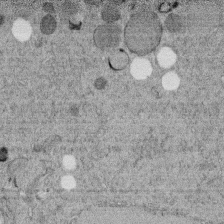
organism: C. elegans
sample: C. elegans embryo early stage